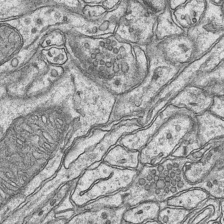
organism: Mouse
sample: CA1 Hippocampus